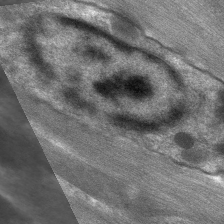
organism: C. elegans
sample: Pharynx